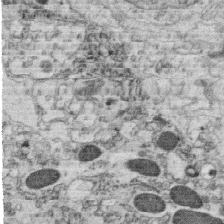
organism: C. elegans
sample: C. elegans oocyte; sperm cells